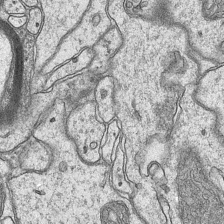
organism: Mouse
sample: CA1 Hippocampus